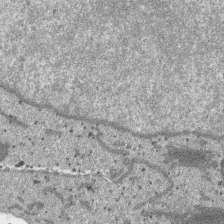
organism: Human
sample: Lung epithelial cells infected with SARS-CoV-2